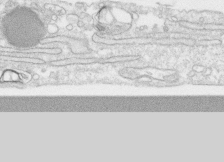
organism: Human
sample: CRL-1474